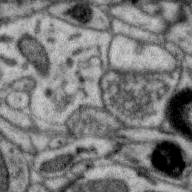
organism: Zebra finch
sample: Brain